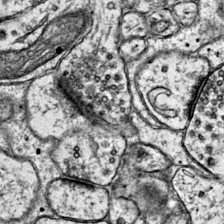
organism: Mouse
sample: Primary visual cortex